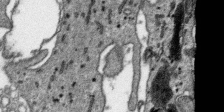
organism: Human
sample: Lung epithelial cells, uninfected (mock) control